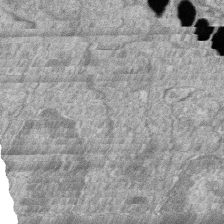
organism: Zebrafish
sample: Cilia; retinal pigment epithelium